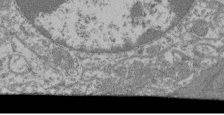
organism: Mouse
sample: Glomerulus